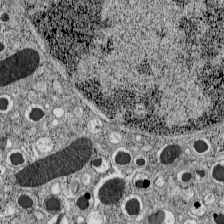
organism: C57BL Mouse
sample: Pancreatic islet